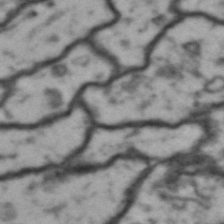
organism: Drosophila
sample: Brain